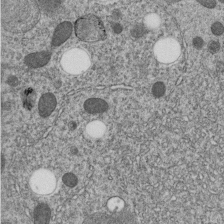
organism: C. elegans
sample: C. elegans embryo early stage